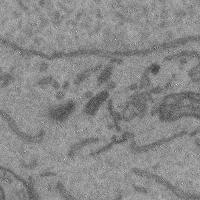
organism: Mouse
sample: Cerebral cortex